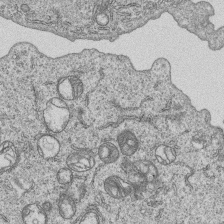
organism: Human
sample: MDA-MB-231 cells